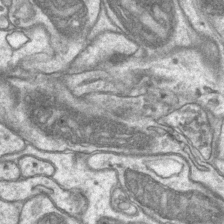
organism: Mouse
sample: CA1 Hippocampus